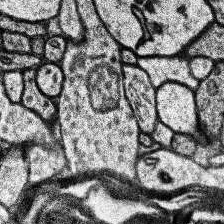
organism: Human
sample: Temporal Lobe